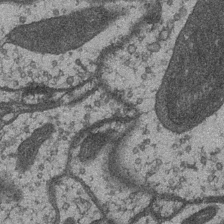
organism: Drosophila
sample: Optic medulla